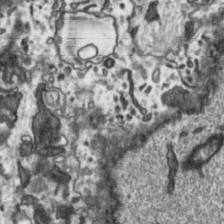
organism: Toxoplasma gondii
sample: Parasites in a vacuole inside a host cell